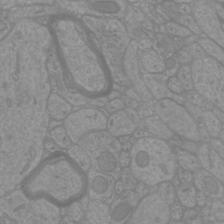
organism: Mouse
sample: Cortical neurons